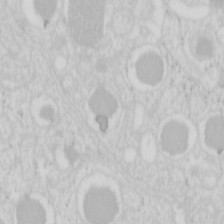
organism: Mouse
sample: Pancreas